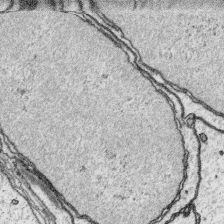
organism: Platynereis dumerilii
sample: Parapodia